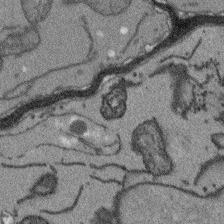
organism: Arabidopsis thaliana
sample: Root tip